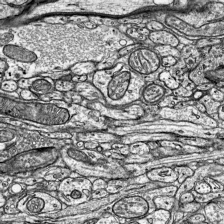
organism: Mouse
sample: Visual Cortex